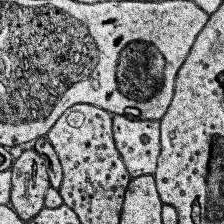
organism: Human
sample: Temporal Lobe